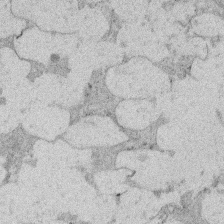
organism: Rat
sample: Salivary granule